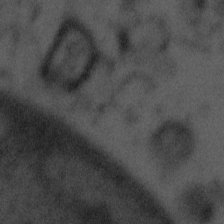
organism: Tuwongella immobilis